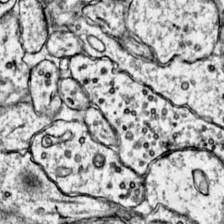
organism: Mouse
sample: Primary visual cortex